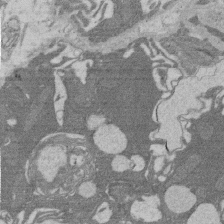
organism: Rat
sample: Salivary granule